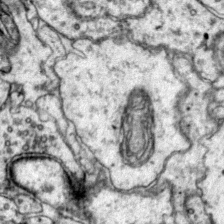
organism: Mouse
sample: Primary visual cortex